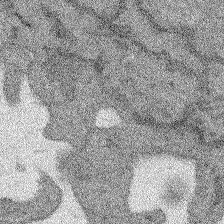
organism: Human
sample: HeLa cells